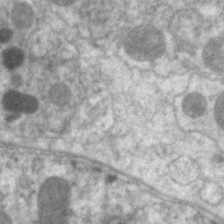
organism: C. elegans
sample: Pharynx